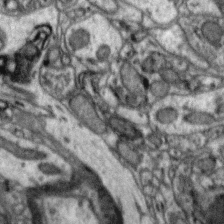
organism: Zebra finch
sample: Brain